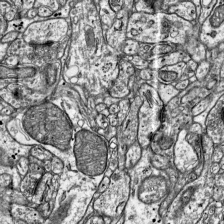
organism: Mouse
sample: Visual Cortex